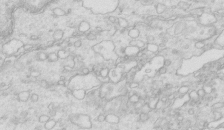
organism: Mouse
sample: Multiciliated cells